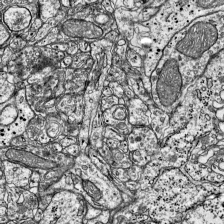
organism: Mouse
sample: Visual Cortex